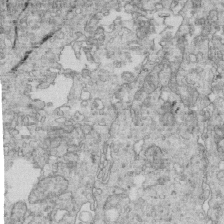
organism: Mouse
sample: Multiciliated cells